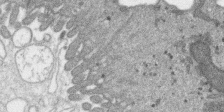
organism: Human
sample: Lung epithelial cells infected with SARS-CoV-2